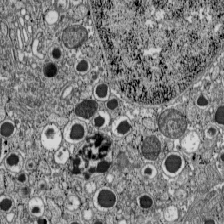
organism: C57BL Mouse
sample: Pancreatic islet